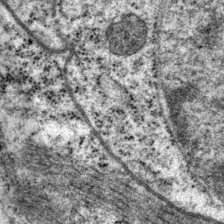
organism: P. pacificus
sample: Pharynx